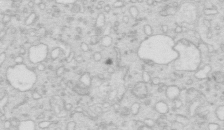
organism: Mouse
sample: Multiciliated cells